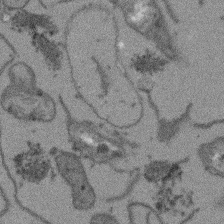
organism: Arabidopsis thaliana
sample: Root tip